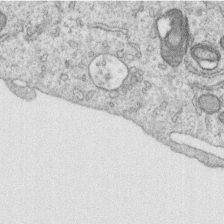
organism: Human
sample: Centriole in RPE cells